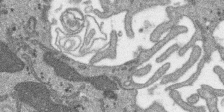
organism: Human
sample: Lung epithelial cells infected with SARS-CoV-2